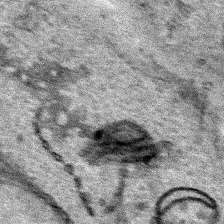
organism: Human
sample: Mitochondria in HCT116 cells